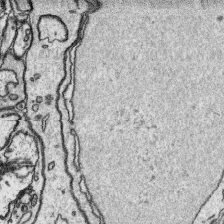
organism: Platynereis dumerilii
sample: Parapodia